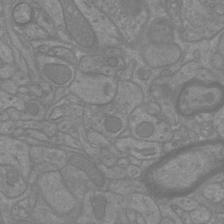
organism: Mouse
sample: Cortical neurons